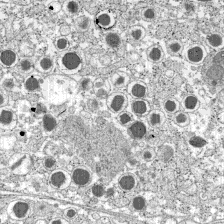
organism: C57BL Mouse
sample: Pancreatic islet